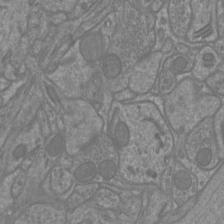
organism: Mouse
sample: Cortical neurons